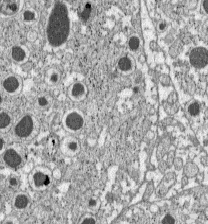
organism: C57BL Mouse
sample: Pancreatic islet